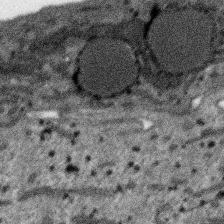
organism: Human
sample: Lung epithelial cells infected with SARS-CoV-2